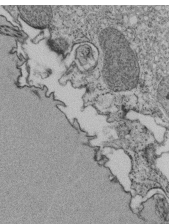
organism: Tetrahymena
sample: Cilia in tetrahymena